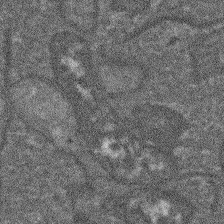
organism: Arabidopsis thaliana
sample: Root tip